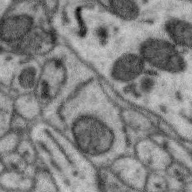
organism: Zebra finch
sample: Brain